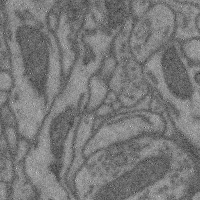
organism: Mouse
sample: Cerebral cortex